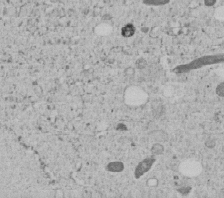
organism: C. elegans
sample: C. elegans embryo early stage